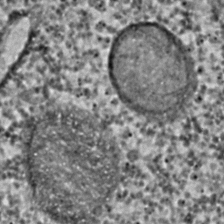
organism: C. elegans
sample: C. elegans embryo